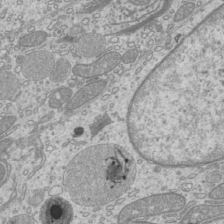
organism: Mouse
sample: Cilia; mouse epididymis